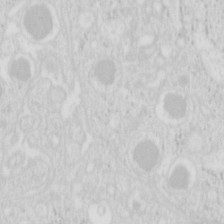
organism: Mouse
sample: Pancreas